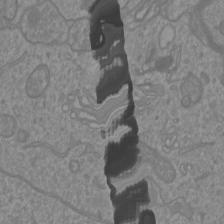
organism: Mouse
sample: Cortical neurons